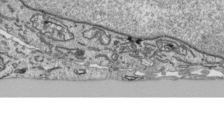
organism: Human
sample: Mitochondria in HCT116 cells